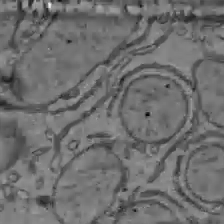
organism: C57BL Mouse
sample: Liver